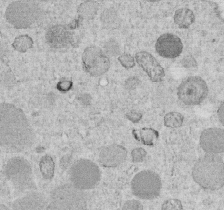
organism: C. elegans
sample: C. elegans embryo early stage